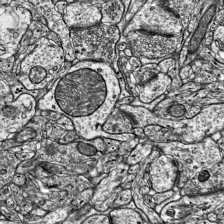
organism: Mouse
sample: Visual Cortex